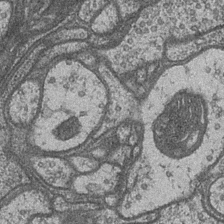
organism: Drosophila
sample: Optic medulla